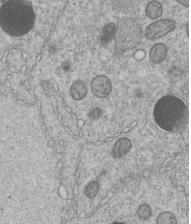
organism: C. elegans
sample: C. elegans embryo early stage